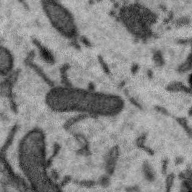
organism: Zebra finch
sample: Brain